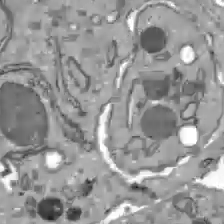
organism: C57BL Mouse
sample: Liver